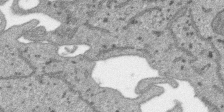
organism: Human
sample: Lung epithelial cells infected with SARS-CoV-2